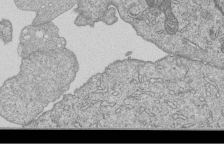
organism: Human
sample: MDA-MB-231 cells